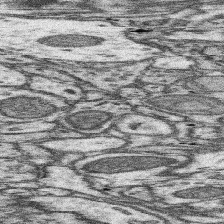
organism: Mouse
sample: Somatosensory cortex neuropil